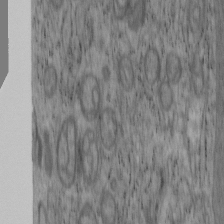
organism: Human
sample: HeLa cells